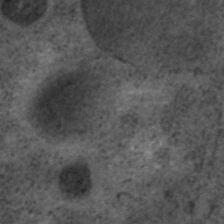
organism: C. elegans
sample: C. elegans embryo